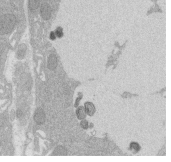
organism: Rat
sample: Salivary granule